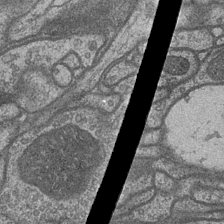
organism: Drosophila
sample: Optic medulla